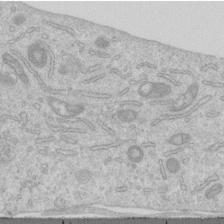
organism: Human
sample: Centriole in RPE cells